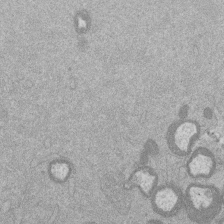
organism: Mouse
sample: Dividing mouse embryo 1 cell stage